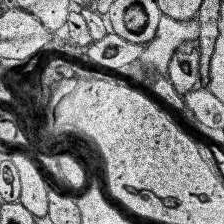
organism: Human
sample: Temporal Lobe